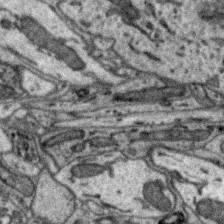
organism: Zebra finch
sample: Brain